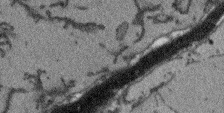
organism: Arabidopsis thaliana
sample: Root tip